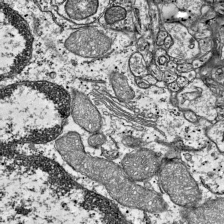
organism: Mouse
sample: Visual Cortex